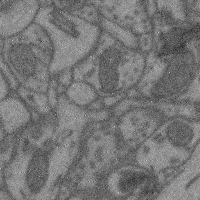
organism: Mouse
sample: Cerebral cortex